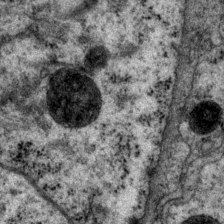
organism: P. pacificus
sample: Pharynx